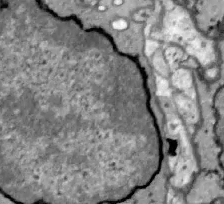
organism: Zebrafish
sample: Actinotrichia fibers